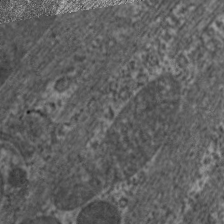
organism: C. elegans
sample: Pharynx